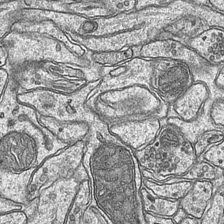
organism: Mouse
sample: CA1 Hippocampus